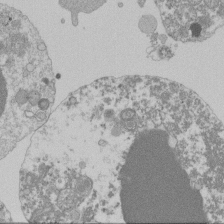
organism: Mouse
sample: Activated Pmel transgenic CD8+ T Cells